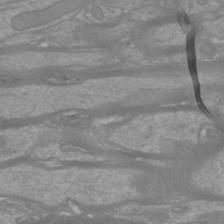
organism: Mouse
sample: Cortical neurons